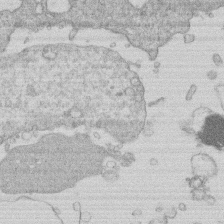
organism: Human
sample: Macrophage cells